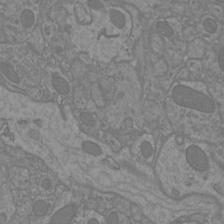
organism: Mouse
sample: Cortical neurons